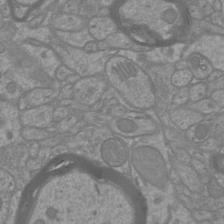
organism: Mouse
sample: Cortical neurons